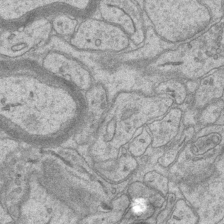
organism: Mouse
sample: CA1 Hippocampus